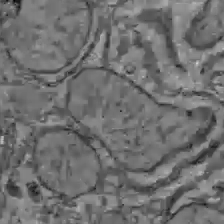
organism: C57BL Mouse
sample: Liver